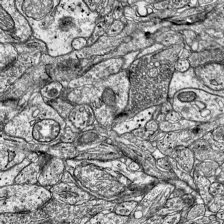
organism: Mouse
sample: Visual Cortex